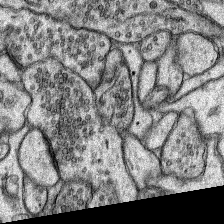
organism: Rat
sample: Hippocampus